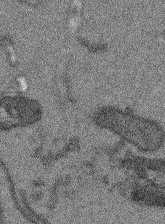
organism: Arabidopsis thaliana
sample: Root tip